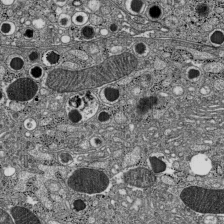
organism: C57BL Mouse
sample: Pancreatic islet